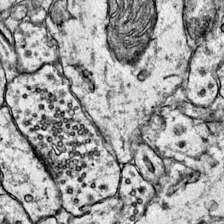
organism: Mouse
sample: Primary visual cortex